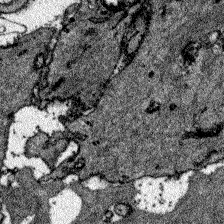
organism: Zebrafish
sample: Larval olfactory bulb